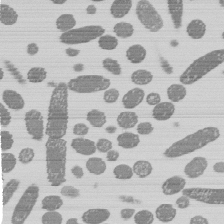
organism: E. coli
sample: Bacterial nucleoid